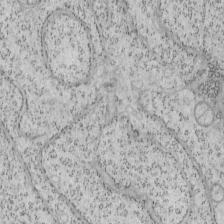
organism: Mouse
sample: OT-I killer T cells with ID8 ovarian cancer cells